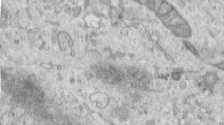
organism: Human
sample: Centriole in RPE cells